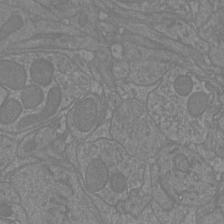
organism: Mouse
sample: Cortical neurons